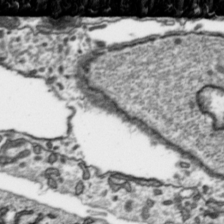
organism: Toxoplasma gondii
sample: Parasites in a vacuole inside a host cell